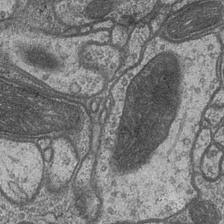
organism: Drosophila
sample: Optic medulla